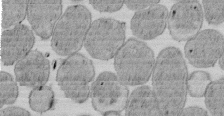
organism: E. coli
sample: Bacterial nucleoid